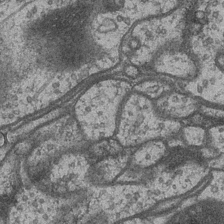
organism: Drosophila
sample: Optic medulla